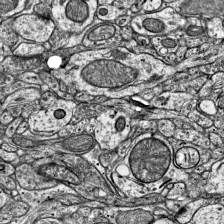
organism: Mouse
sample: Visual Cortex